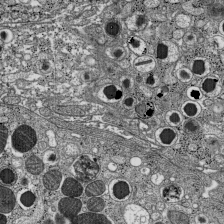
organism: C57BL Mouse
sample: Pancreatic islet